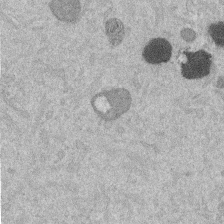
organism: Mouse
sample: Dividing mouse embryo 1 cell stage